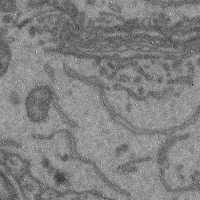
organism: Mouse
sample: Cerebral cortex